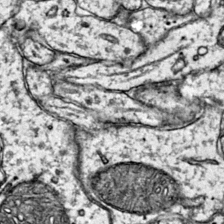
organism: Mouse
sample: Primary visual cortex